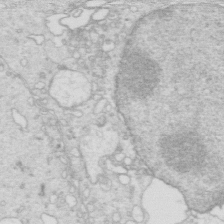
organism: Mouse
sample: Multiciliated cells